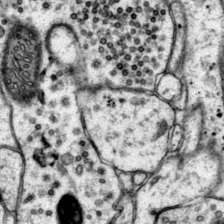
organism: Mouse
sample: Primary visual cortex